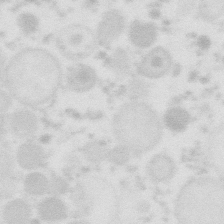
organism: Human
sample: HeLa cells